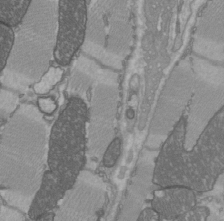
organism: C57BL Mouse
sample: Heart